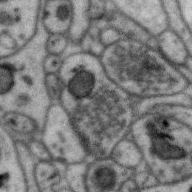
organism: Zebra finch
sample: Brain